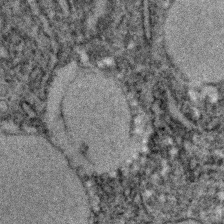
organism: C. elegans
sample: C. elegans embryo